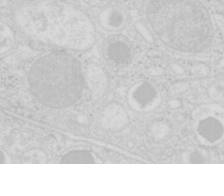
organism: Mouse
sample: Pancreas